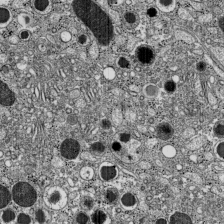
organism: C57BL Mouse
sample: Pancreatic islet